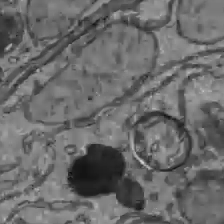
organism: C57BL Mouse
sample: Liver